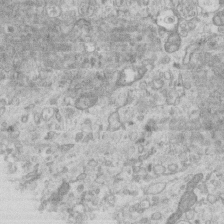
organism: Mouse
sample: Centriole in ependymal cells